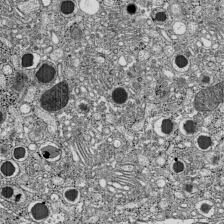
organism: C57BL Mouse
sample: Pancreatic islet